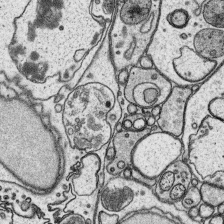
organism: Platynereis dumerilii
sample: Parapodia